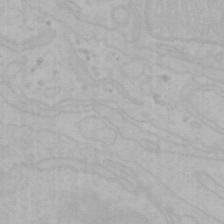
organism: Mouse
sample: Choroid plexus